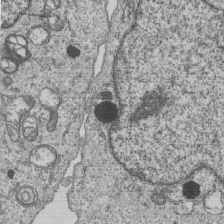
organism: Human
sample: MDA-MB-231 cells